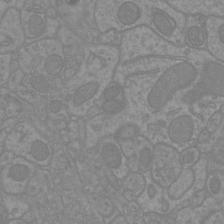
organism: Mouse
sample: Cortical neurons